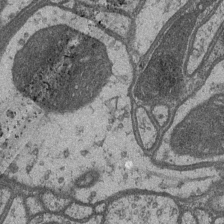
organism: Drosophila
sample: Optic medulla